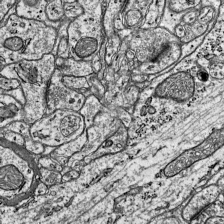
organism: Mouse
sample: Visual Cortex